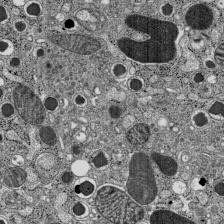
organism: C57BL Mouse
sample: Pancreatic islet